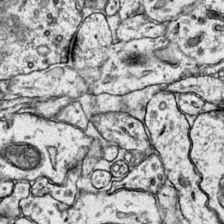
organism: Mouse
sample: Primary visual cortex